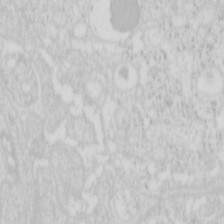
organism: Mouse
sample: Pancreas